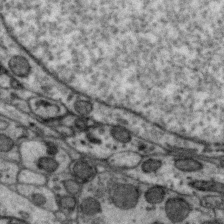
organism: Zebra finch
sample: Brain